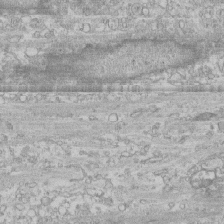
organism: Human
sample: CRL-1474